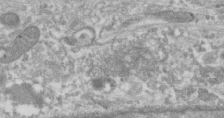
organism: Human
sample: Centriole in RPE cells